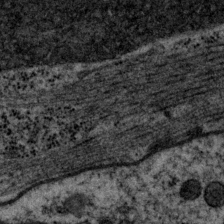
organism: P. pacificus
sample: Pharynx